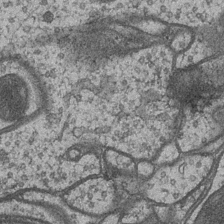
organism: Drosophila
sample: Optic medulla